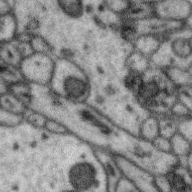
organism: Zebra finch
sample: Brain